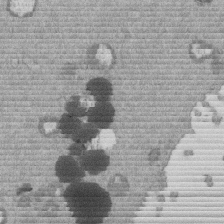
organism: Mouse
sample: Dividing mouse embryo 1 cell stage